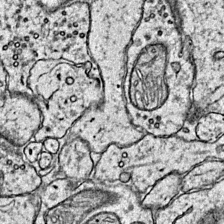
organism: Mouse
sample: Primary visual cortex